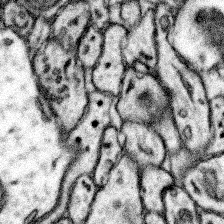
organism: Mouse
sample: Somatosensory cortex neuropil